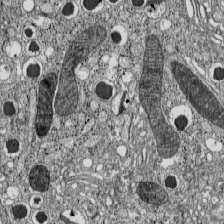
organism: C57BL Mouse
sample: Pancreatic islet